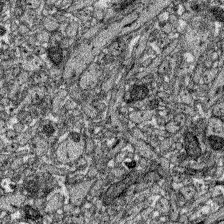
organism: Zebrafish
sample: Larval olfactory bulb